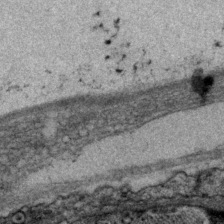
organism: P. pacificus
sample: Pharynx